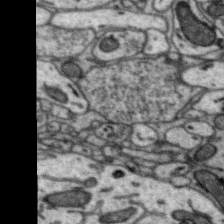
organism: Zebra finch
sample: Brain